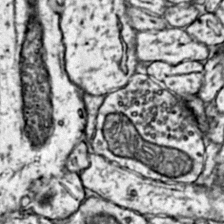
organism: Mouse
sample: Primary visual cortex